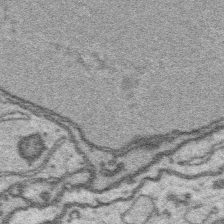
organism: Platynereis dumerilii